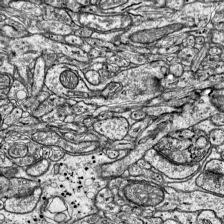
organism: Mouse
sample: Visual Cortex